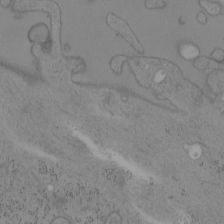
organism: Mouse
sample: OT-I killer T cells with ID8 ovarian cancer cells